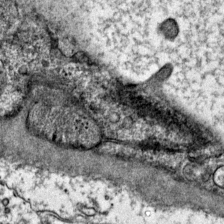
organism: Mouse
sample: Primary visual cortex